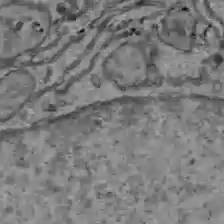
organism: C57BL Mouse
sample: Liver